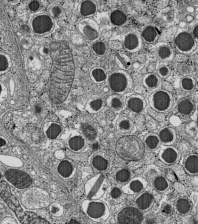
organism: C57BL Mouse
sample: Pancreatic islet